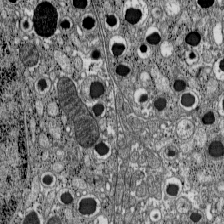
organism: C57BL Mouse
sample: Pancreatic islet